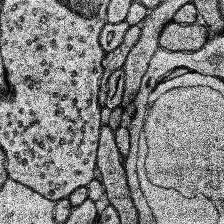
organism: Human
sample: Temporal Lobe